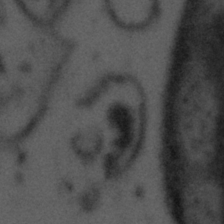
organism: Tuwongella immobilis